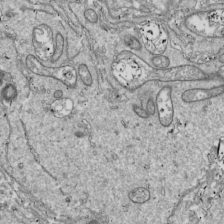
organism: Drosophila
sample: Cell division; meiosis; drosophila spermatocytes